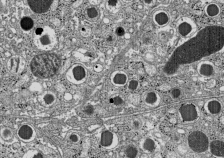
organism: C57BL Mouse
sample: Pancreatic islet